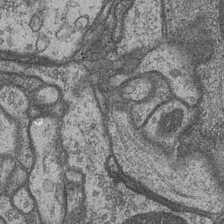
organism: Drosophila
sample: Optic medulla